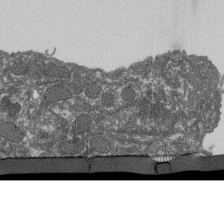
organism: Dictyostelium discoideum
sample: Dictyostelium multivesicular bodies